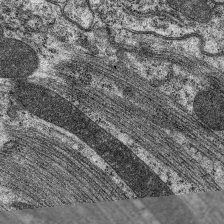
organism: C. elegans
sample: Pharynx